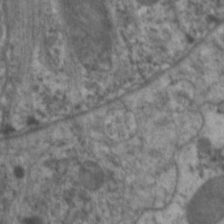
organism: C. elegans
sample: Pharynx